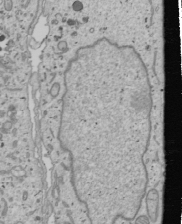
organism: Human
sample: Mitochondria in U2OS cells